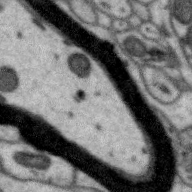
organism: Zebra finch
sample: Brain